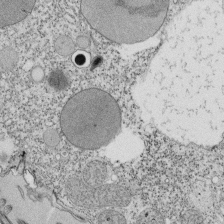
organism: Tetrahymena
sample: Cilia in tetrahymena